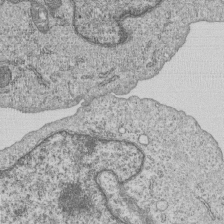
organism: Human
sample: MDA-MB-231 cells